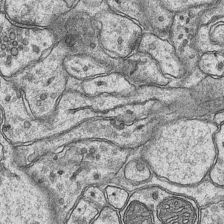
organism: Mouse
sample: CA1 Hippocampus